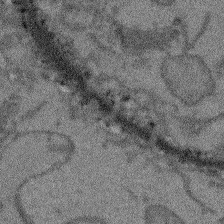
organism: Arabidopsis thaliana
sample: Root tip